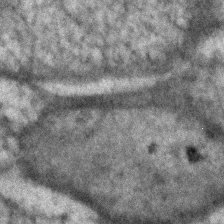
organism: Human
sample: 1205lu cells